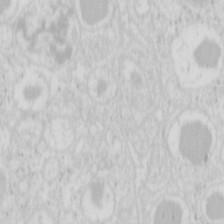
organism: Mouse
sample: Pancreas